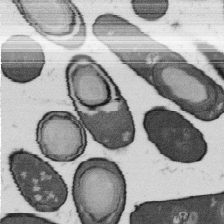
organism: B. subtilis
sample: Bacterial spore